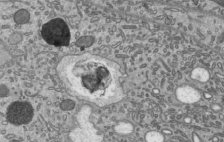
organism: Mouse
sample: Mouse epididymis efferent ductule cilia